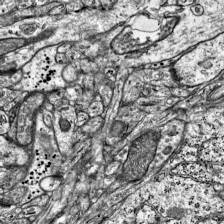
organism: Mouse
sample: Visual Cortex